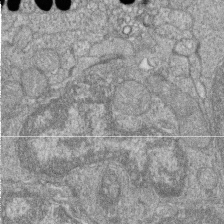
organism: Zebrafish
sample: Cilia; retinal pigment epithelium